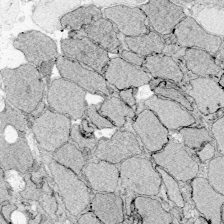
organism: Zebrafish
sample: Whole-Brain